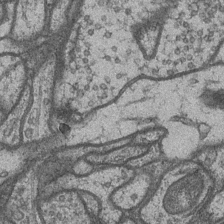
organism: Drosophila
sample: Optic medulla